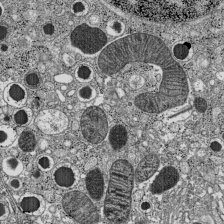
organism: C57BL Mouse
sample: Pancreatic islet